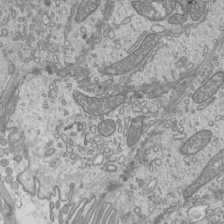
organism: Mouse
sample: Cilia; mouse epididymis